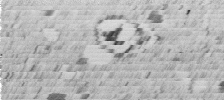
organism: C. elegans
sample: C. elegans embryo early stage